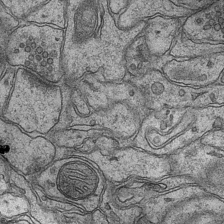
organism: Mouse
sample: CA1 Hippocampus